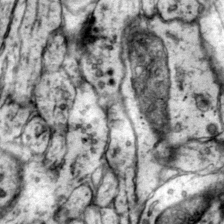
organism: Mouse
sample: Primary visual cortex